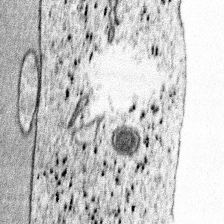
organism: Human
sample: HeLa cells